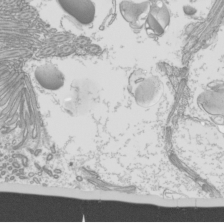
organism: Mouse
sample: Cilia; mouse epididymis